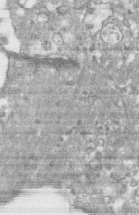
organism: Human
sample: CRL-1474